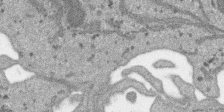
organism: Human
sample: Lung epithelial cells infected with SARS-CoV-2